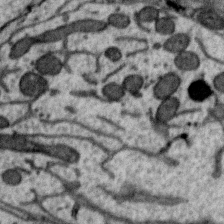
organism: Zebra finch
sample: Brain